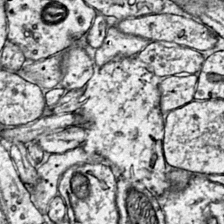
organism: Mouse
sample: Primary visual cortex